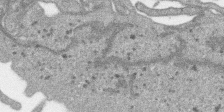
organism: Human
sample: Lung epithelial cells infected with SARS-CoV-2